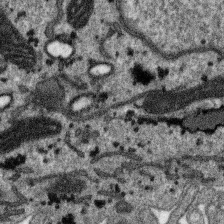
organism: Human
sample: Lung epithelial cells infected with SARS-CoV-2